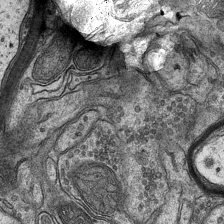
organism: Mouse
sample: CA1 Hippocampus